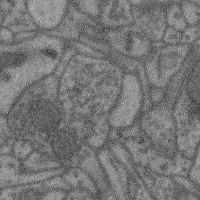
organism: Mouse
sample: Cerebral cortex